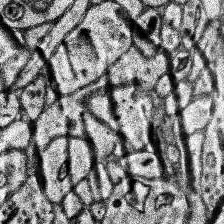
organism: Human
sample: Temporal Lobe